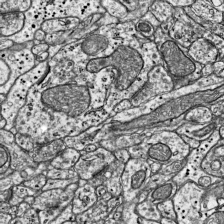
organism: Mouse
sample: Visual Cortex